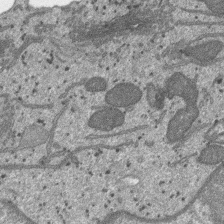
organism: Human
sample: Lung epithelial cells infected with SARS-CoV-2